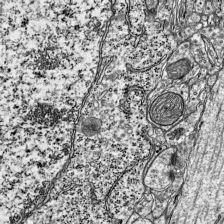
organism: Mouse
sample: Visual Cortex